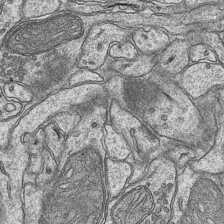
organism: Mouse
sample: CA1 Hippocampus